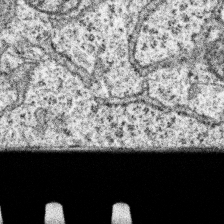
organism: Human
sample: HeLa cells